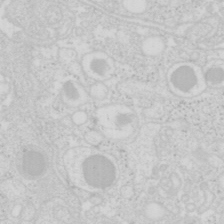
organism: Mouse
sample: Pancreas